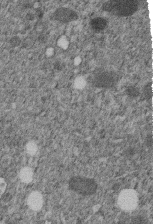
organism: C. elegans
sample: C. elegans embryo early stage